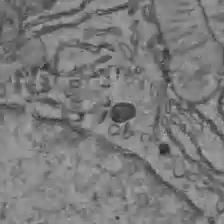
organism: C57BL Mouse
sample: Liver